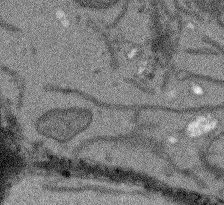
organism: Arabidopsis thaliana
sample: Root tip